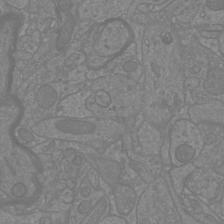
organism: Mouse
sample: Cortical neurons